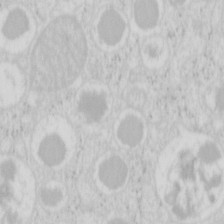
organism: Mouse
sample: Pancreas